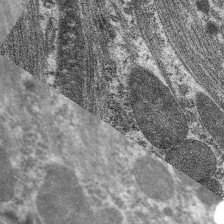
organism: C. elegans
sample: Pharynx